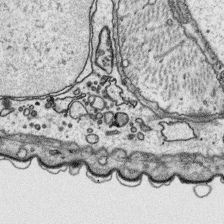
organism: Platynereis dumerilii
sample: Parapodia